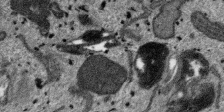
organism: Human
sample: Lung epithelial cells, uninfected (mock) control